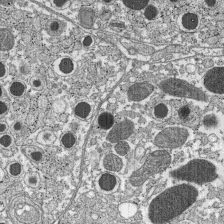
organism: C57BL Mouse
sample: Pancreatic islet